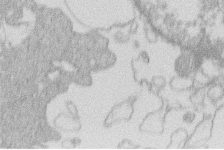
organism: Human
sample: Macrophage cells